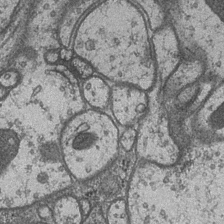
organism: Drosophila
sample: Optic medulla